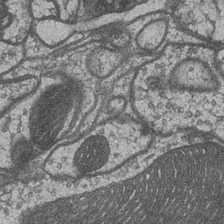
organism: Drosophila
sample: Optic medulla